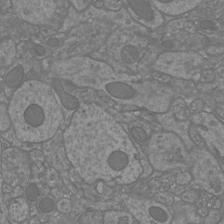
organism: Mouse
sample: Cortical neurons